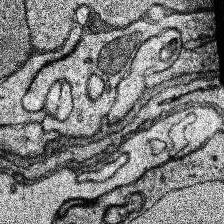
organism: Human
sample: Temporal Lobe